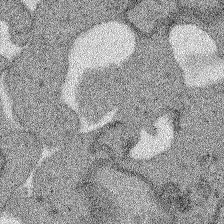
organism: Human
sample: HeLa cells